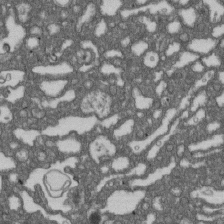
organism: Drosophila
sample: Nephrocyte